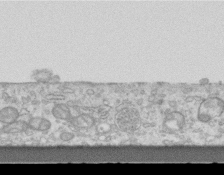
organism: Mouse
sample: Centriole in ependymal cells